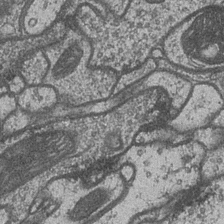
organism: Drosophila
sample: Optic medulla